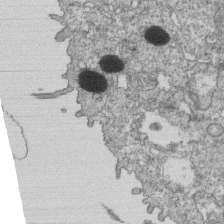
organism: Human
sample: HeLa cell HIV synapse